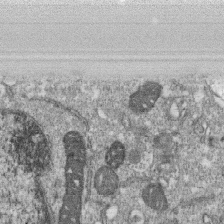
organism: African green monkey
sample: Vero E6 cells infected with SARS-CoV-2